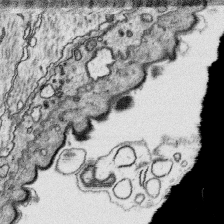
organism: Platynereis dumerilii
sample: Parapodia